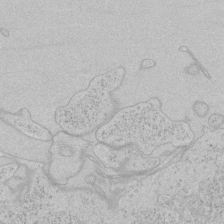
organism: Human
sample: Mitochondria in HCT116 cells